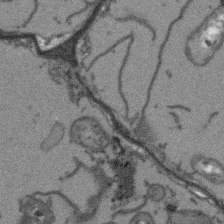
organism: Arabidopsis thaliana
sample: Root tip